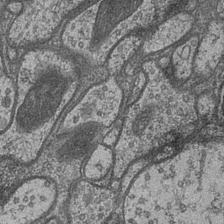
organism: Drosophila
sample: Optic medulla